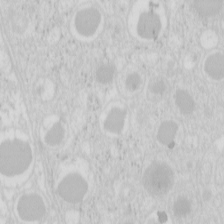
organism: Mouse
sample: Pancreas